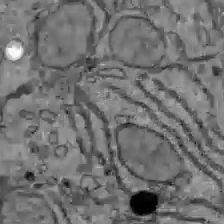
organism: C57BL Mouse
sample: Liver